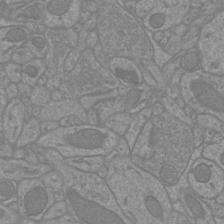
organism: Mouse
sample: Cortical neurons